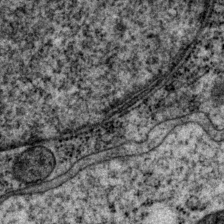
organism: P. pacificus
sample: Pharynx